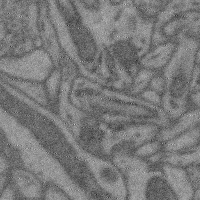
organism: Mouse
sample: Cerebral cortex